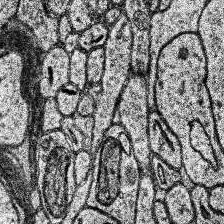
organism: Human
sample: Temporal Lobe